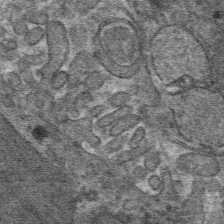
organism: Mouse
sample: Mouse hepatocytes